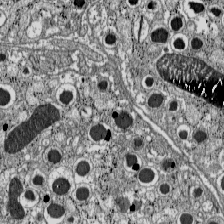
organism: C57BL Mouse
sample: Pancreatic islet